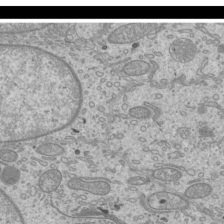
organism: Mouse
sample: Cilia; mouse epididymis